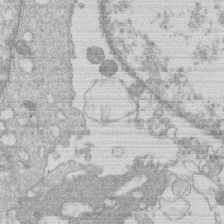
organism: Human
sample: Macrophage cells